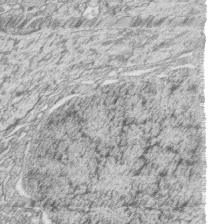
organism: Zebrafish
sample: synaptic ribbons in rod cells and cone cells